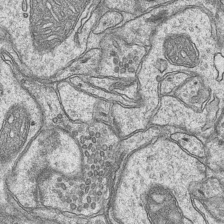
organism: Mouse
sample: CA1 Hippocampus